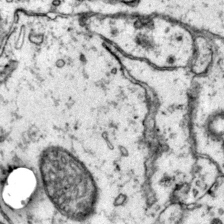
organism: Mouse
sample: Primary visual cortex